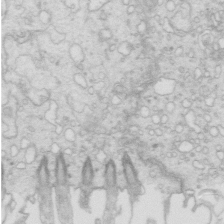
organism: Mouse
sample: Multiciliated cells